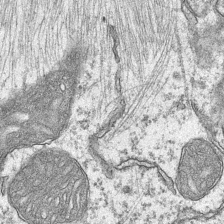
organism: Mouse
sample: CA1 Hippocampus